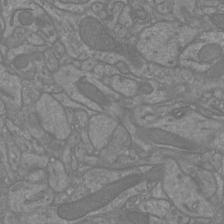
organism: Mouse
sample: Cortical neurons